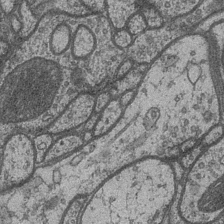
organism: Drosophila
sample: Optic medulla